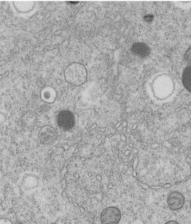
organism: C. elegans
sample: C. elegans embryo early stage